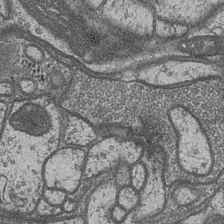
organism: Drosophila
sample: Optic medulla